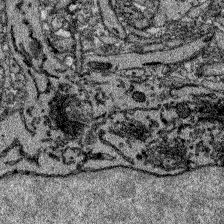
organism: Zebrafish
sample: Larval olfactory bulb